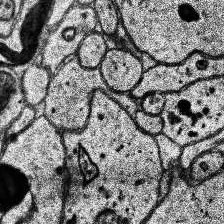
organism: Human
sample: Temporal Lobe